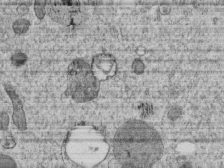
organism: C. elegans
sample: C. elegans embryo early stage